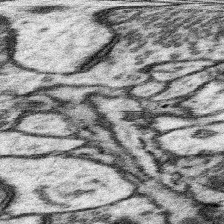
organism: Mouse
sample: Somatosensory cortex neuropil